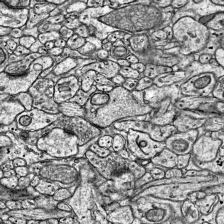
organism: Mouse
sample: Visual Cortex